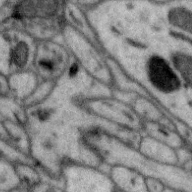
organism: Zebra finch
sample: Brain